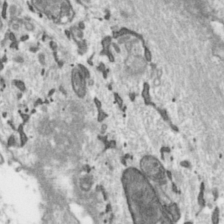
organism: Toxoplasma gondii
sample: Parasites in a vacuole inside a host cell